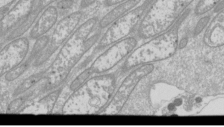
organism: Drosophila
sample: Cell division; meiosis; drosophila spermatocytes